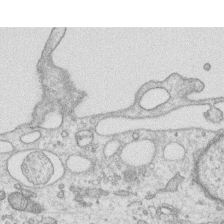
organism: Human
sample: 1205lu cells